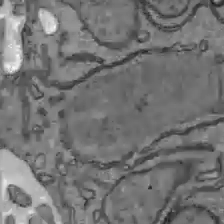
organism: C57BL Mouse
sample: Liver